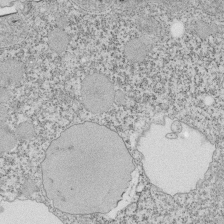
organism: Tetrahymena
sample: Cilia in tetrahymena